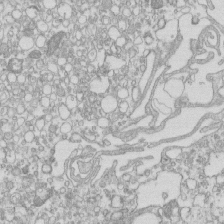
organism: Mouse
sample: Macrophages